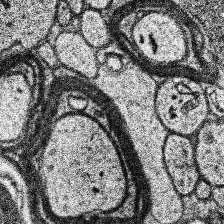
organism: Human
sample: Temporal Lobe